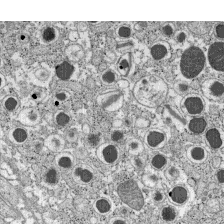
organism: C57BL Mouse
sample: Pancreatic islet